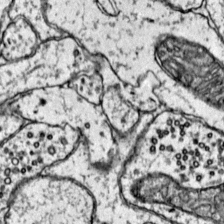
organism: Mouse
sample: Primary visual cortex